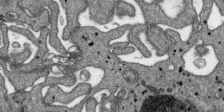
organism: Human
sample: Lung epithelial cells, uninfected (mock) control